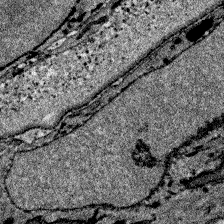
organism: Zebrafish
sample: Larval olfactory bulb